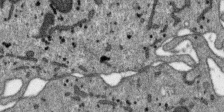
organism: Human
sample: Lung epithelial cells, uninfected (mock) control